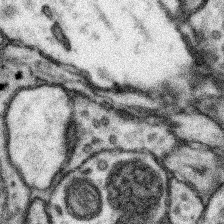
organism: Mouse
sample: Somatosensory cortex neuropil